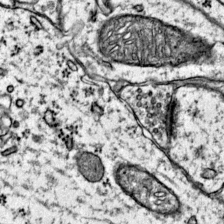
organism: Mouse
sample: Primary visual cortex